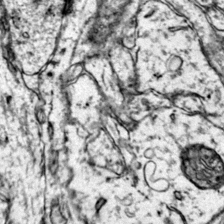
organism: Mouse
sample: Primary visual cortex